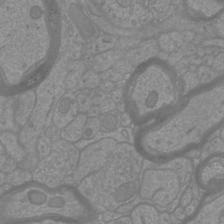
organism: Mouse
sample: Cortical neurons